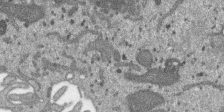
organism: Human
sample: Lung epithelial cells infected with SARS-CoV-2